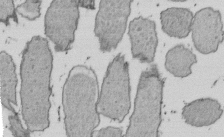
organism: E. coli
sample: Bacterial nucleoid